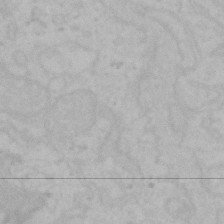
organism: Mouse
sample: Choroid plexus